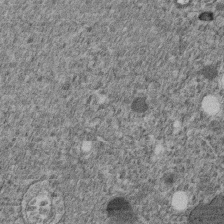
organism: C. elegans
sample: C. elegans embryo early stage